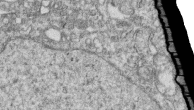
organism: Human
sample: HeLa cell HIV synapse